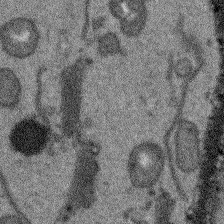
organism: Arabidopsis thaliana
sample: Root tip